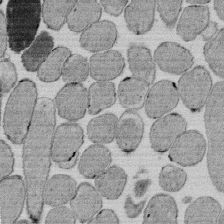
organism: E. coli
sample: Bacterial nucleoid